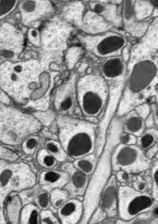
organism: Drosophila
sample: Optic lobe